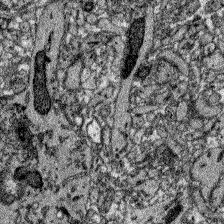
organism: Zebrafish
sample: Larval olfactory bulb